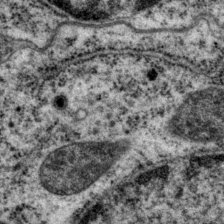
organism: P. pacificus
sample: Pharynx